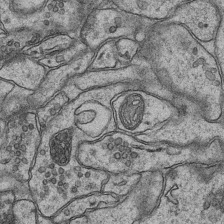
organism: Mouse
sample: CA1 Hippocampus